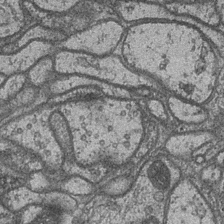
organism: Drosophila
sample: Optic medulla